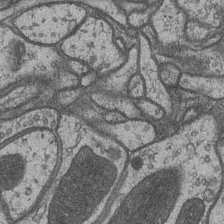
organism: Drosophila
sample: Optic medulla